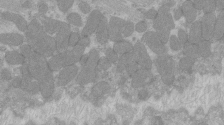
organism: C57BL Mouse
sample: Tibialis anterior muscle cell